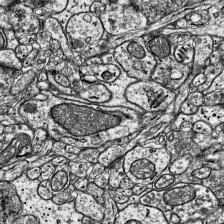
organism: Mouse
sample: Visual Cortex